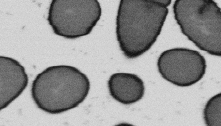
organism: B. subtilis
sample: Bacterial spore